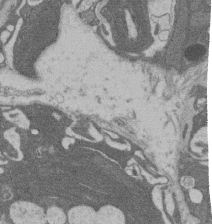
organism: Rat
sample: Salivary granule